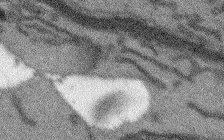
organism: Arabidopsis thaliana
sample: Root tip